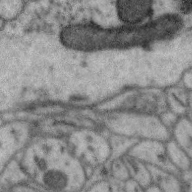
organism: Zebra finch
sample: Brain